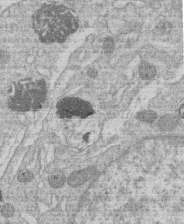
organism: Human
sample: Macrophage cells